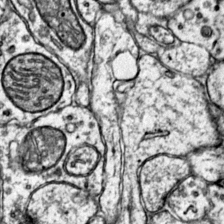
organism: Mouse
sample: Primary visual cortex